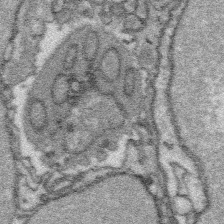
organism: Platynereis dumerilii